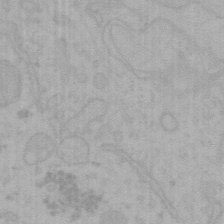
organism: Mouse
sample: Choroid plexus